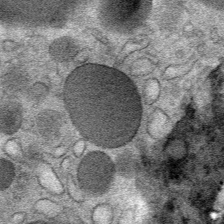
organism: Mouse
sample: Mouse Salivary gland